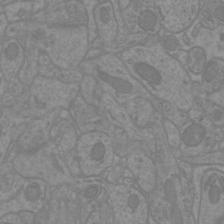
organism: Mouse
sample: Cortical neurons